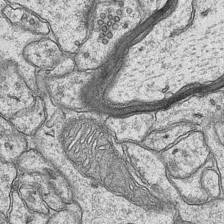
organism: Mouse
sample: CA1 Hippocampus